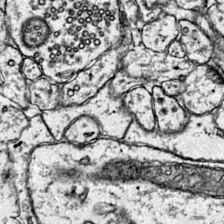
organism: Mouse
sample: Primary visual cortex